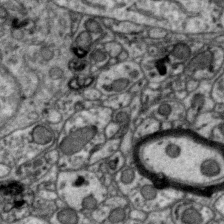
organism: Zebra finch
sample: Brain